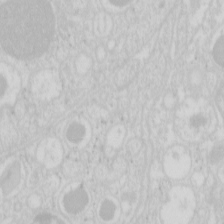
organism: Mouse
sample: Pancreas